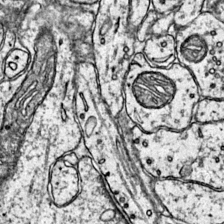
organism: Mouse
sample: Primary visual cortex